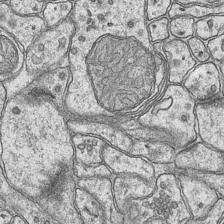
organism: Mouse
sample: CA1 Hippocampus